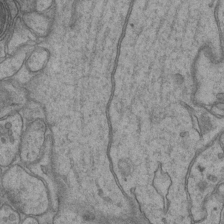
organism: Mouse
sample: CA1 Hippocampus